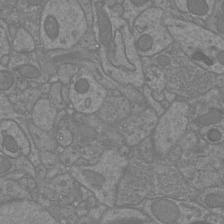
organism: Mouse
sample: Cortical neurons